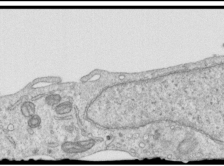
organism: Human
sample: Centriole in RPE cells